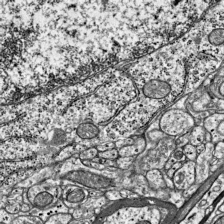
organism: Mouse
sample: Visual Cortex